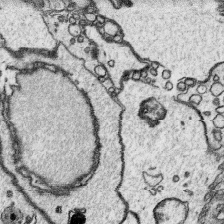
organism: Platynereis dumerilii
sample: Parapodia